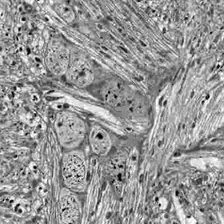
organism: Drosophila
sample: Optic lobe